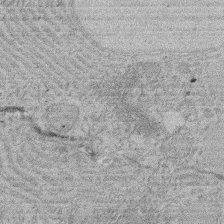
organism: Rat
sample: Salivary granule